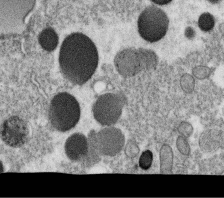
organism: C. elegans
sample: C. elegans oocyte; sperm cells